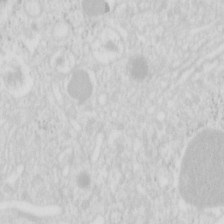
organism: Mouse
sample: Pancreas